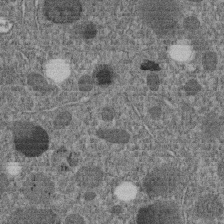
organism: C. elegans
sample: C. elegans embryo early stage